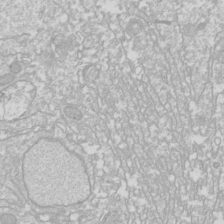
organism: Drosophila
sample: Cell division; meiosis; drosophila spermatocytes